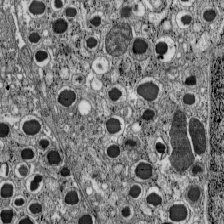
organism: C57BL Mouse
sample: Pancreatic islet